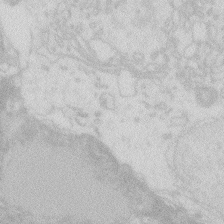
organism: Zebrafish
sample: Macrophage